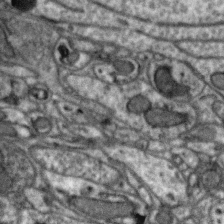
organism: Zebra finch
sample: Brain